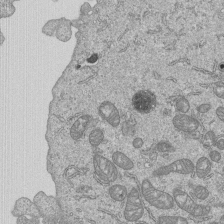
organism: Human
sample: MDA-MB-231 cells